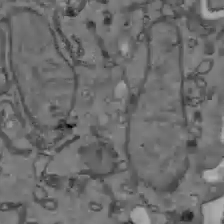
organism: C57BL Mouse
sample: Liver